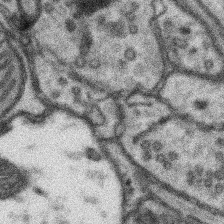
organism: Mouse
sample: Somatosensory cortex neuropil